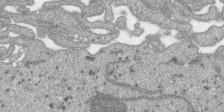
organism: Human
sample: Lung epithelial cells infected with SARS-CoV-2